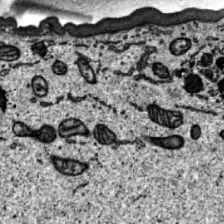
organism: Human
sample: HeLa cells